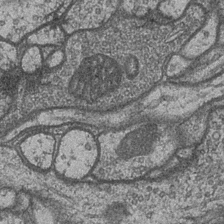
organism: Drosophila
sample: Optic medulla